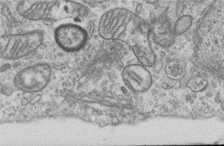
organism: Human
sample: Centriole in RPE cells